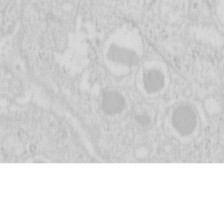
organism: Mouse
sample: Pancreas